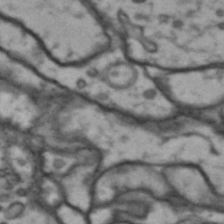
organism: Drosophila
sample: Brain